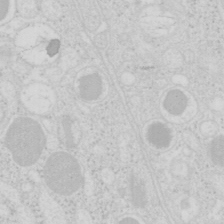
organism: Mouse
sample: Pancreas